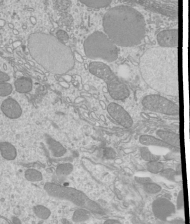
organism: Mouse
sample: Cilia; mouse epididymis